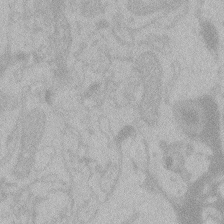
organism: Zebrafish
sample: Macrophage infected with Toxoplasma gondii